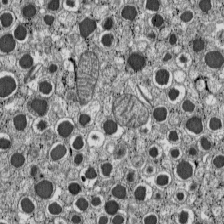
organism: C57BL Mouse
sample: Pancreatic islet